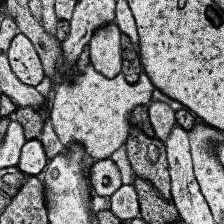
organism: Human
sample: Temporal Lobe